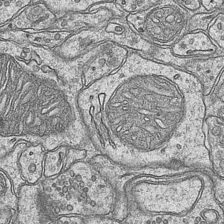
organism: Mouse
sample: CA1 Hippocampus